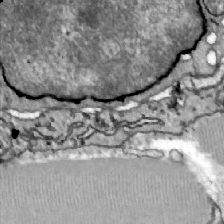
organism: Zebrafish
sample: Actinotrichia fibers